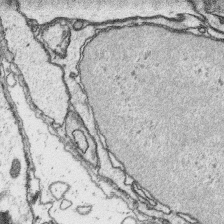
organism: Platynereis dumerilii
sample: Parapodia